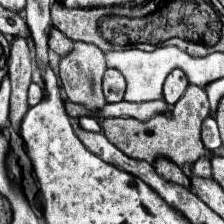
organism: Human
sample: Temporal Lobe